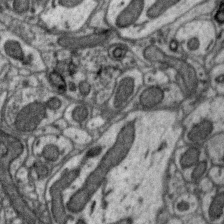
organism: Zebra finch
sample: Brain